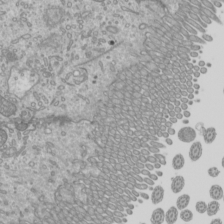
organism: Mouse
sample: Cilia; mouse epididymis